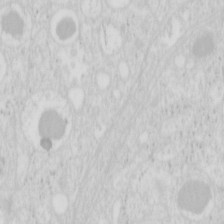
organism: Mouse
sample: Pancreas